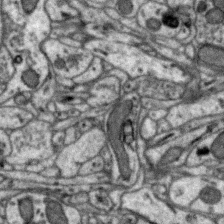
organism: Zebra finch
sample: Brain